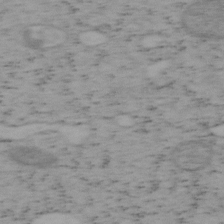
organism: Mouse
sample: OT-I killer T cells with ID8 ovarian cancer cells